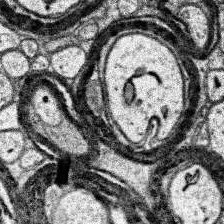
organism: Human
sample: Temporal Lobe